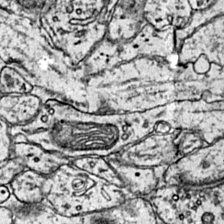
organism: Mouse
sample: Primary visual cortex